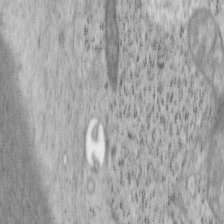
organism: Human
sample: HeLa cells